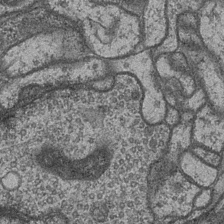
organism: Drosophila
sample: Optic medulla